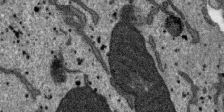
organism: Human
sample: Lung epithelial cells, uninfected (mock) control